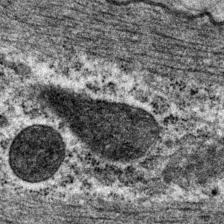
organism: P. pacificus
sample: Pharynx